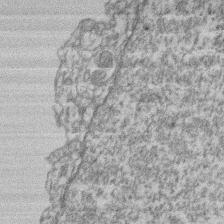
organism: Mouse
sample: T cell stromal cell synapse